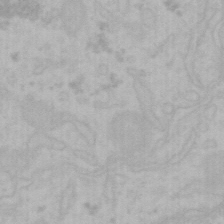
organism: Mouse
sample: Choroid plexus